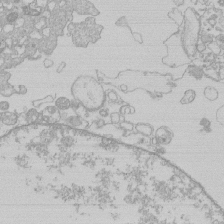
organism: Human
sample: Macrophage cells